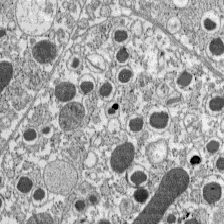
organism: C57BL Mouse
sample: Pancreatic islet